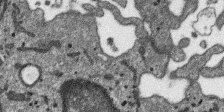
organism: Human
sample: Lung epithelial cells infected with SARS-CoV-2